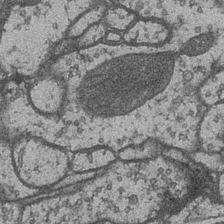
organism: Drosophila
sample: Optic medulla